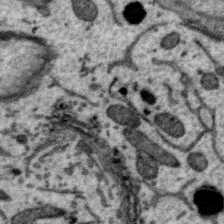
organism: Zebra finch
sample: Brain